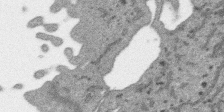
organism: Human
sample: Lung epithelial cells infected with SARS-CoV-2